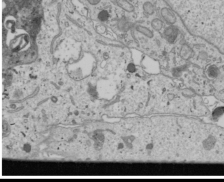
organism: Human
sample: Mitochondria in U2OS cells